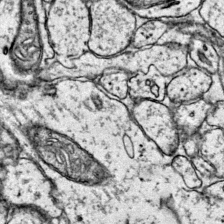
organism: Mouse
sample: Primary visual cortex